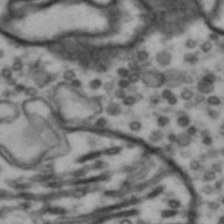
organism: Drosophila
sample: Brain